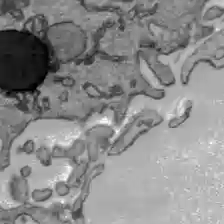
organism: C57BL Mouse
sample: Liver